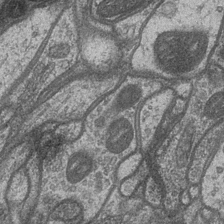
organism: Drosophila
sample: Optic medulla